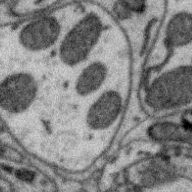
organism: Zebra finch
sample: Brain